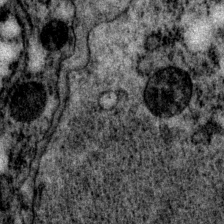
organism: P. pacificus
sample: Pharynx